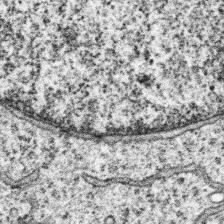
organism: Human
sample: HeLa cells